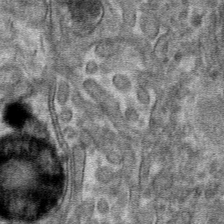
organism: Mouse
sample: Mouse hepatocytes